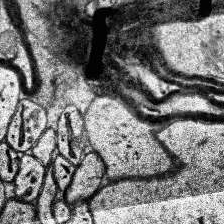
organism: Human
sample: Temporal Lobe